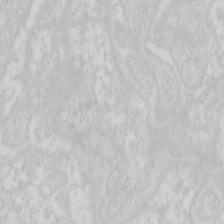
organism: Mouse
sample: Pancreas